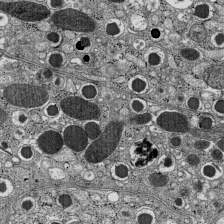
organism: C57BL Mouse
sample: Pancreatic islet